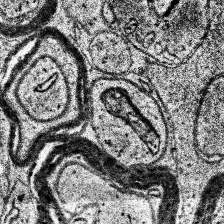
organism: Human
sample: Temporal Lobe